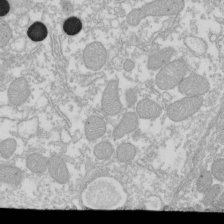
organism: Xenopus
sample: Cilia; centrioles in frog embryo cells